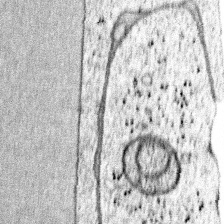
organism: Human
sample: HeLa cells